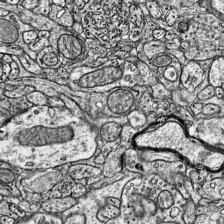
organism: Mouse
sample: Visual Cortex